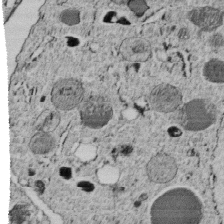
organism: C. elegans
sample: C. elegans embryo early stage